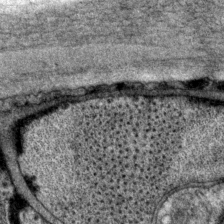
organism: P. pacificus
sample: Pharynx